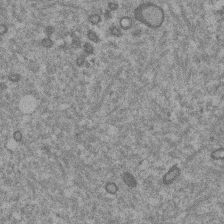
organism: Mouse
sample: Dividing mouse embryo 1 cell stage